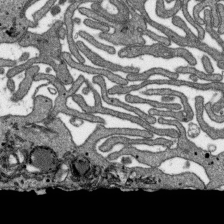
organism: Human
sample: Lung epithelial cells, uninfected (mock) control